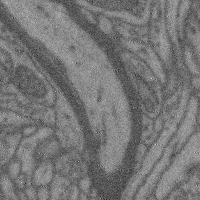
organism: Mouse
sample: Cerebral cortex